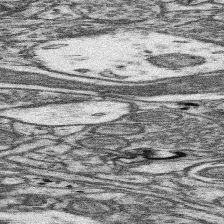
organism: Mouse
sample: Somatosensory cortex neuropil